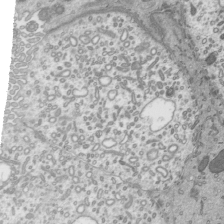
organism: Mouse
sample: Mouse epididymis efferent ductule cilia